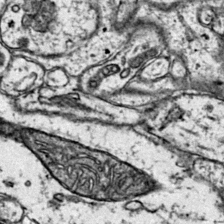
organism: Mouse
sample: Primary visual cortex